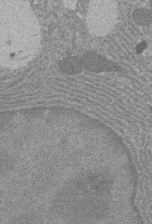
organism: Rat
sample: Salivary granule